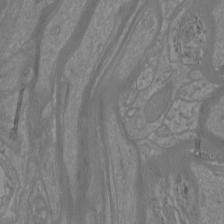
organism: Mouse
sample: Cortical neurons